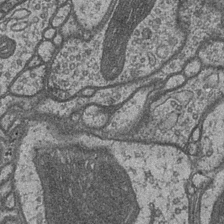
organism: Drosophila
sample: Optic medulla